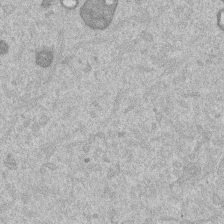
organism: Mouse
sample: Dividing mouse embryo 1 cell stage